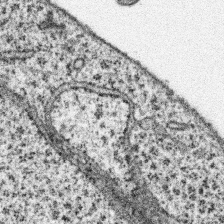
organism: Human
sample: HeLa cells